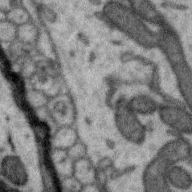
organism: Zebra finch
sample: Brain